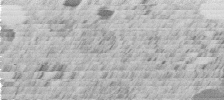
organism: C. elegans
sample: C. elegans embryo early stage